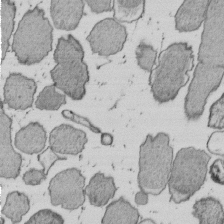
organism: E. coli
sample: Bacterial nucleoid